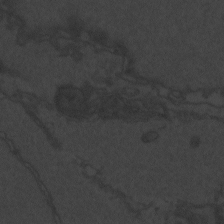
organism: Zebrafish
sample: Macrophage infected with Toxoplasma gondii